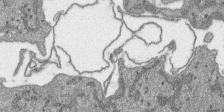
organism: Human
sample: Lung epithelial cells infected with SARS-CoV-2